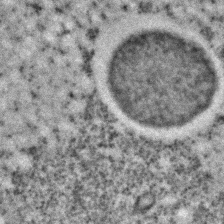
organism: C. elegans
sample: C. elegans embryo